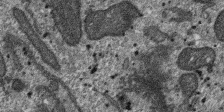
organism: Human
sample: Lung epithelial cells infected with SARS-CoV-2